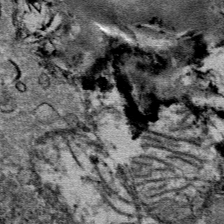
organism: Mouse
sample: Mouse Salivary gland